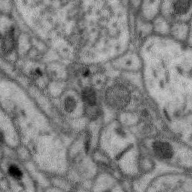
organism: Zebra finch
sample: Brain